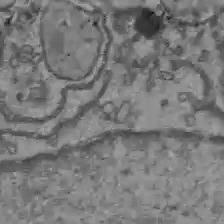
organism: C57BL Mouse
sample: Liver